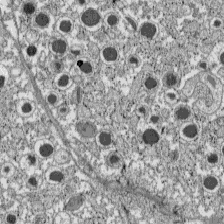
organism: C57BL Mouse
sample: Pancreatic islet